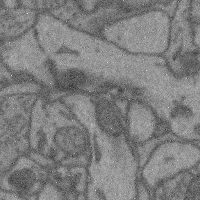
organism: Mouse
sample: Cerebral cortex